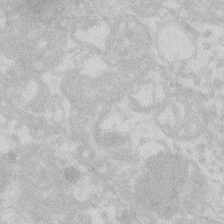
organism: Zebrafish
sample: Macrophage